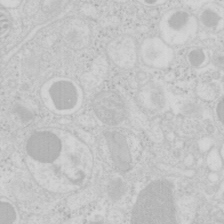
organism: Mouse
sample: Pancreas